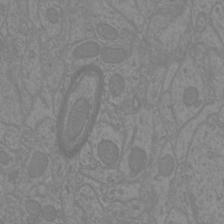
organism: Mouse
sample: Cortical neurons